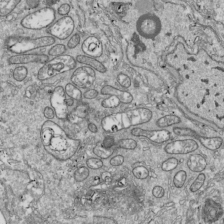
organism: Drosophila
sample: Cell division; meiosis; drosophila spermatocytes